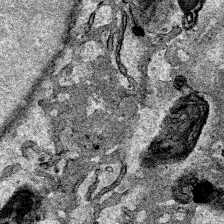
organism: Human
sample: Mitochondria in HCT116 cells